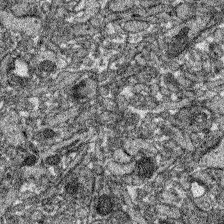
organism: Zebrafish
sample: Larval olfactory bulb